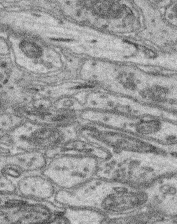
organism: Mouse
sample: Retina